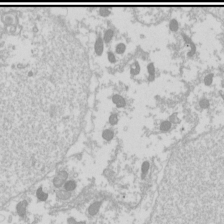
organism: Drosophila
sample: Cell division; meiosis; drosophila spermatocytes